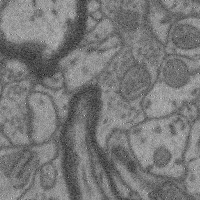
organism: Mouse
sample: Cerebral cortex